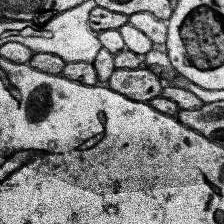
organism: Human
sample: Temporal Lobe